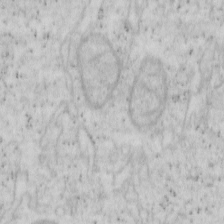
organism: Human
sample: HeLa cells